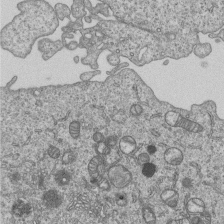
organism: Human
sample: MDA-MB-231 cells